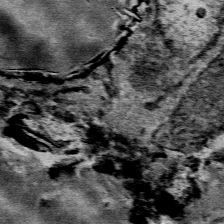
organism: Mouse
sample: Mouse Salivary gland